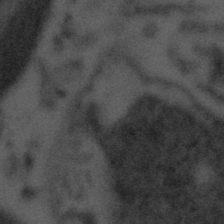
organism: Tuwongella immobilis